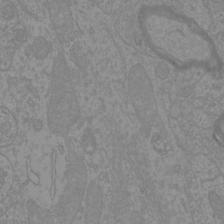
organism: Mouse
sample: Cortical neurons